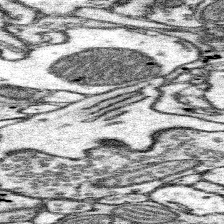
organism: Mouse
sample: Somatosensory cortex neuropil